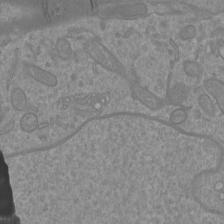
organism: Mouse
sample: Cortical neurons